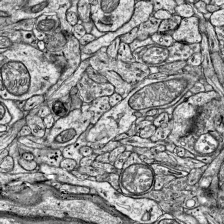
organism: Mouse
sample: Visual Cortex